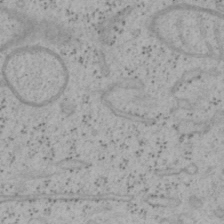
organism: Human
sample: HeLa cells